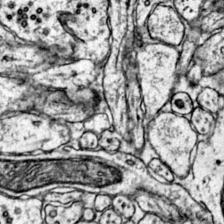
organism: Mouse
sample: Primary visual cortex